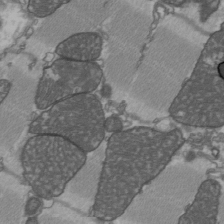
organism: C57BL Mouse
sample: Heart